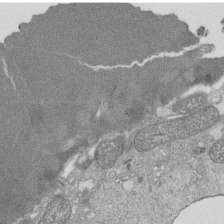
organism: Tetrahymena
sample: Cilia in tetrahymena